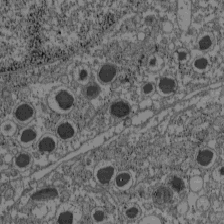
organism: C57BL Mouse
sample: Pancreatic islet